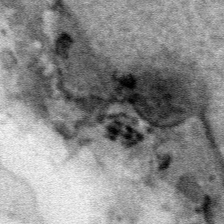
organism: Human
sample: Mitochondria in HCT116 cells